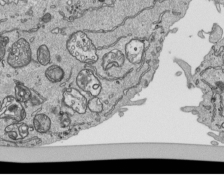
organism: Human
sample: Mitochondria in HCT116 cells